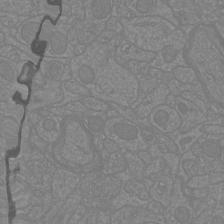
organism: Mouse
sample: Cortical neurons